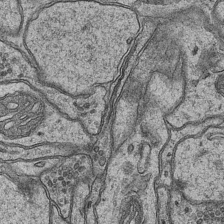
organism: Mouse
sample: CA1 Hippocampus